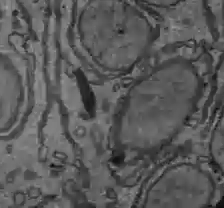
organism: C57BL Mouse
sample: Liver